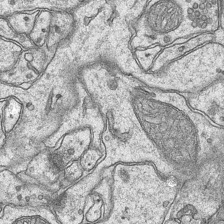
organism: Mouse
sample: CA1 Hippocampus